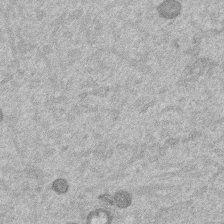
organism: Mouse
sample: Dividing mouse embryo 1 cell stage